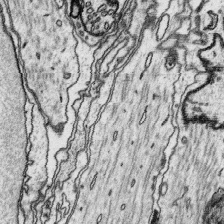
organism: Platynereis dumerilii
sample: Parapodia